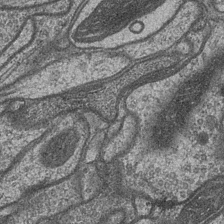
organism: Drosophila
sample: Optic medulla